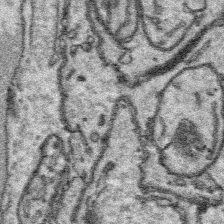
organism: Platynereis dumerilii